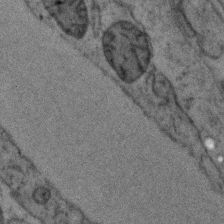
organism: Zebrafish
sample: Zebrafish embryo